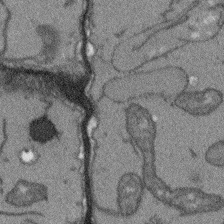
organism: Arabidopsis thaliana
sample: Root tip